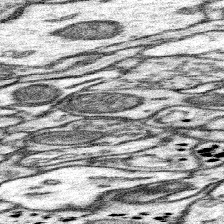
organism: Mouse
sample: Somatosensory cortex neuropil